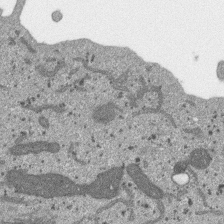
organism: Human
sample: Lung epithelial cells infected with SARS-CoV-2